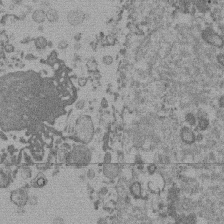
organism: Mouse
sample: Dividing mouse embryo 1 cell stage